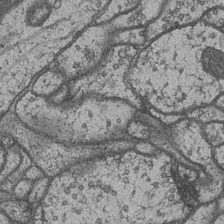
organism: Drosophila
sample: Optic medulla